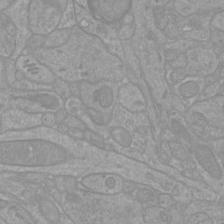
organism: Mouse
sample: Cortical neurons